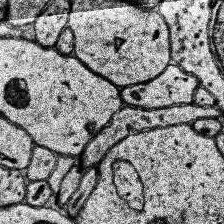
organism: Human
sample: Temporal Lobe